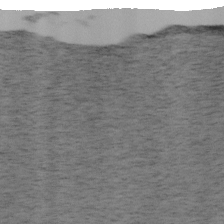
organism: Mouse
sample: OT-I killer T cells with ID8 ovarian cancer cells